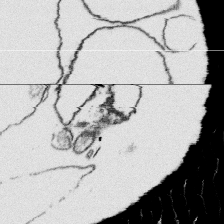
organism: Platynereis dumerilii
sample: Parapodia